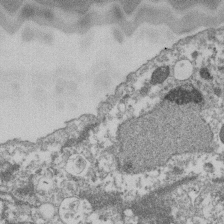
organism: Dictyostelium discoideum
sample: Dictyostelium multivesicular bodies